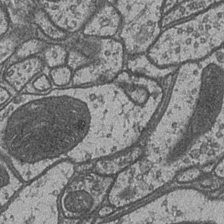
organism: Drosophila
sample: Optic medulla